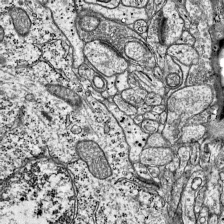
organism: Mouse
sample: Visual Cortex